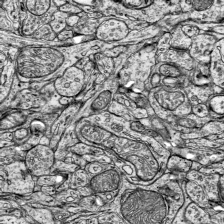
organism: Mouse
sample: Visual Cortex